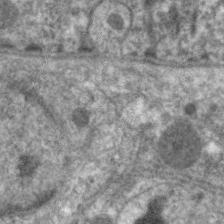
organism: C. elegans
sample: Pharynx